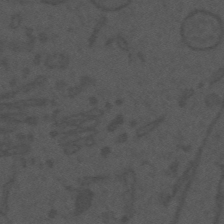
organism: Mouse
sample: Suprachiasmatic nucleus